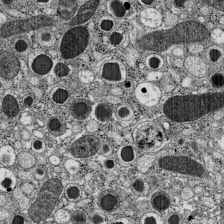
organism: C57BL Mouse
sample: Pancreatic islet